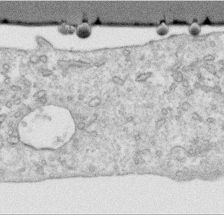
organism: Human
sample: Centriole in RPE cells